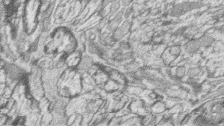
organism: Zebrafish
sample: synaptic ribbons in rod cells and cone cells